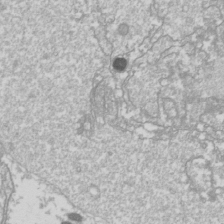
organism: Drosophila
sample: Cell division; meiosis; drosophila spermatocytes